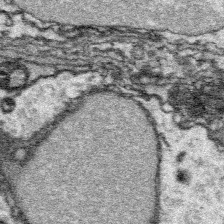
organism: Platynereis dumerilii